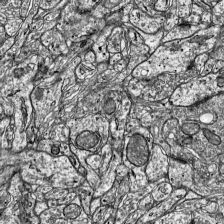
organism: Mouse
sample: Visual Cortex